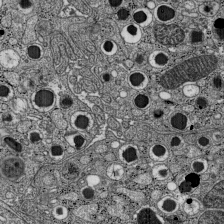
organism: C57BL Mouse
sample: Pancreatic islet